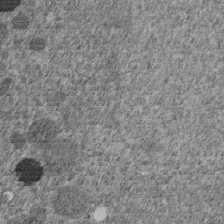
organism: C. elegans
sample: C. elegans embryo early stage